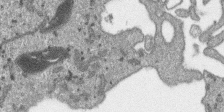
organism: Human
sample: Lung epithelial cells infected with SARS-CoV-2